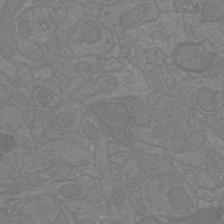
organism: Mouse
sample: Cortical neurons